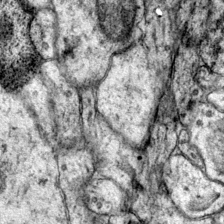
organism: Mouse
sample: Primary visual cortex